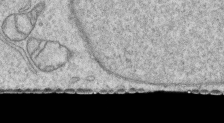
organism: Human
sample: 1205lu cells